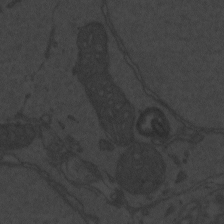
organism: Zebrafish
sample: Macrophage infected with Toxoplasma gondii